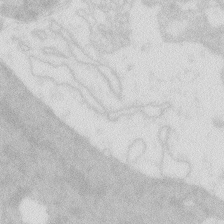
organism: Zebrafish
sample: Macrophage